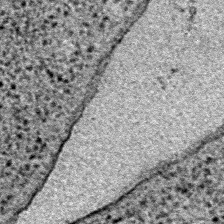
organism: E. coli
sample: E. Coli Bacteria